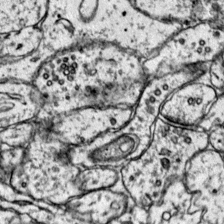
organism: Mouse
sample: Primary visual cortex